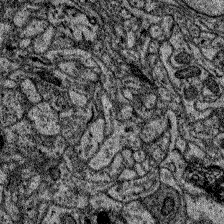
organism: Zebrafish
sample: Larval olfactory bulb